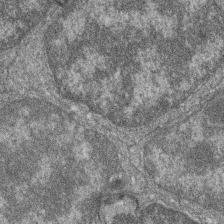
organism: Zebrafish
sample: Cilia; retinal pigment epithelium